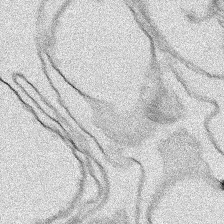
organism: Human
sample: Mitochondria in HCT116 cells